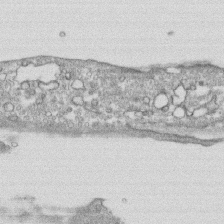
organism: Human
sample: CRL-1474